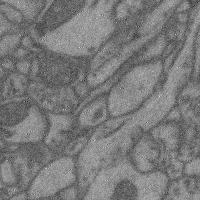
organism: Mouse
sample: Cerebral cortex